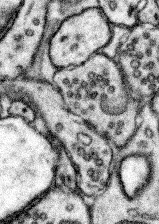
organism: Mouse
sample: Somatosensory cortex neuropil